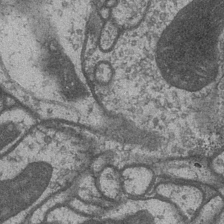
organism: Drosophila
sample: Optic medulla